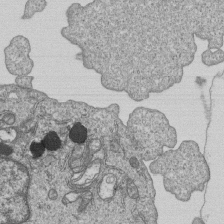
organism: Human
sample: MDA-MB-231 cells